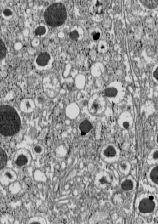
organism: C57BL Mouse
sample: Pancreatic islet